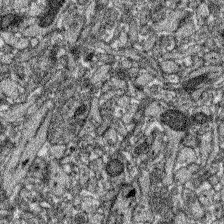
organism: Zebrafish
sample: Larval olfactory bulb